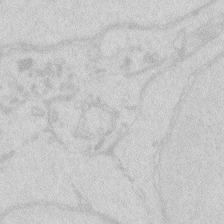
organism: Zebrafish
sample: Macrophage